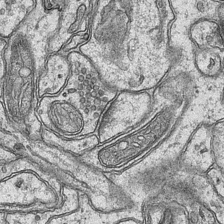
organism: Mouse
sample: CA1 Hippocampus